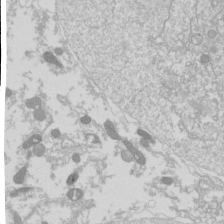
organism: Drosophila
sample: Cell division; meiosis; drosophila spermatocytes